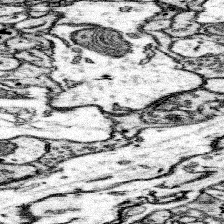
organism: Mouse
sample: Somatosensory cortex neuropil